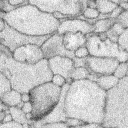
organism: Rabbit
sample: Retina